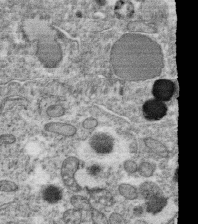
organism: C. elegans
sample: C. elegans oocyte; sperm cells